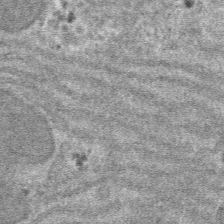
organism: Mouse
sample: Mouse hepatocytes